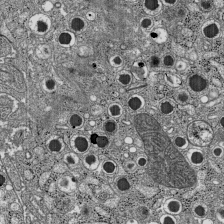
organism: C57BL Mouse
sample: Pancreatic islet